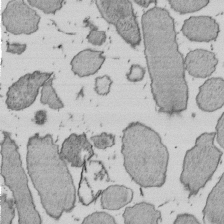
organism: E. coli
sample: Bacterial nucleoid